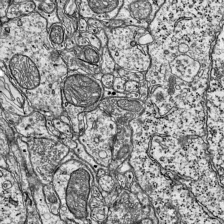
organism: Mouse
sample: Visual Cortex